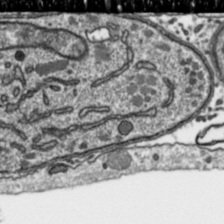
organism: Toxoplasma gondii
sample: Parasites in a vacuole inside a host cell